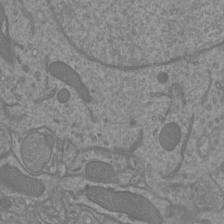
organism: Mouse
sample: Cortical neurons